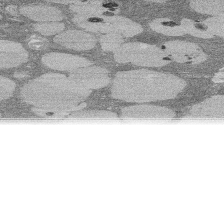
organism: Rat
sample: Salivary granule